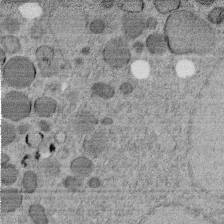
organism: C. elegans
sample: C. elegans embryo early stage